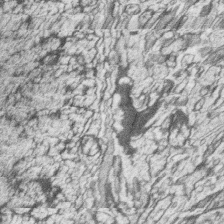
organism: Zebrafish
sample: synaptic ribbons in rod cells and cone cells